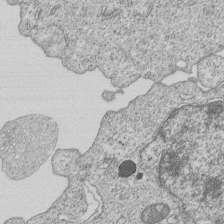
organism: Human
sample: MDA-MB-231 cells